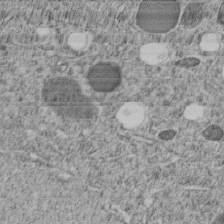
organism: C. elegans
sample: C. elegans embryo early stage